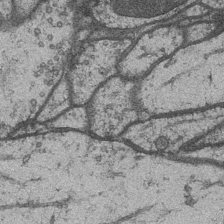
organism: Drosophila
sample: Optic medulla